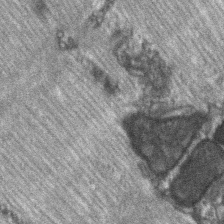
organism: C57BL Mouse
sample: Soleus